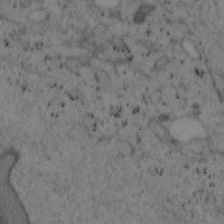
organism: Human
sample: HeLa cells